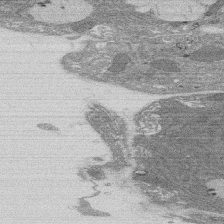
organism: Rat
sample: Salivary granule